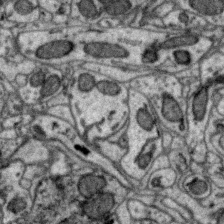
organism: Zebra finch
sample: Brain